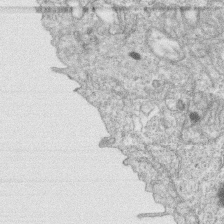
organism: Human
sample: HeLa cell HIV synapse